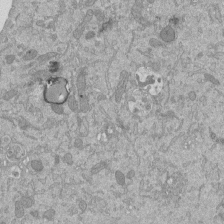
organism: Mouse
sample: ED-1 cell nuclei; centrioles